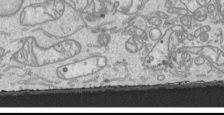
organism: Human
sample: Mitochondria in HCT116 cells